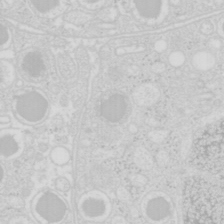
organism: Mouse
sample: Pancreas